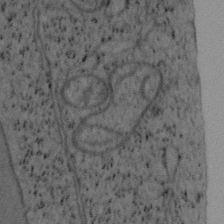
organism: Human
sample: HeLa cells